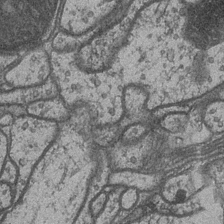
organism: Drosophila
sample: Optic medulla